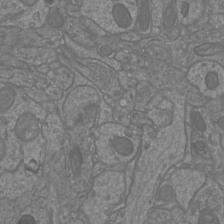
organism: Mouse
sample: Cortical neurons